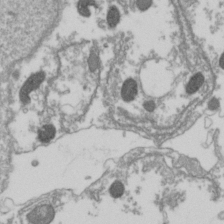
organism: Drosophila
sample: Cell division; meiosis; drosophila spermatocytes